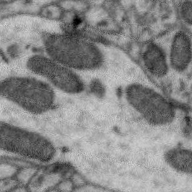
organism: Zebra finch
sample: Brain